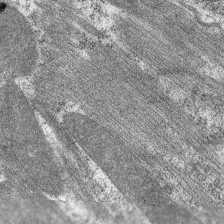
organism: C. elegans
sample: Pharynx